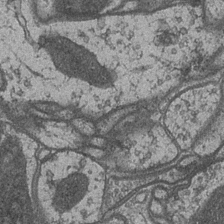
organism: Drosophila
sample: Optic medulla